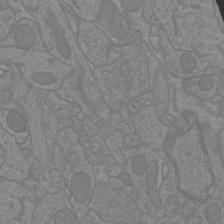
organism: Mouse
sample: Cortical neurons